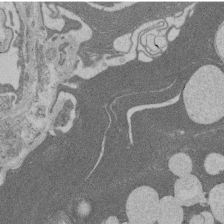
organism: Rat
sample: Salivary granule